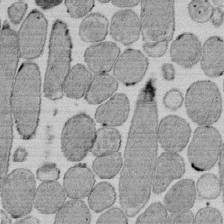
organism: E. coli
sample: Bacterial nucleoid